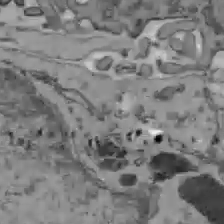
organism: C57BL Mouse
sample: Liver